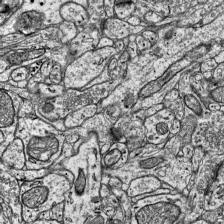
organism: Mouse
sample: Visual Cortex